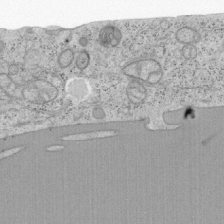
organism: Human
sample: HeLa cells